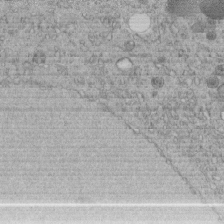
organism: C. elegans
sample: C. elegans embryo early stage